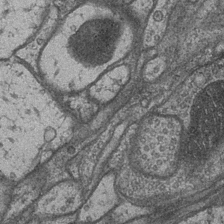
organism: Drosophila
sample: Optic medulla